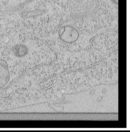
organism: Human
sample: Mitochondria in HCT116 cells